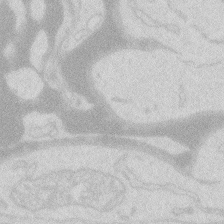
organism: Zebrafish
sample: Macrophage